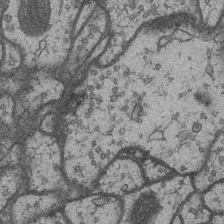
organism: Drosophila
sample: Optic medulla